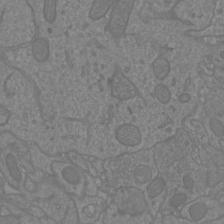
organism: Mouse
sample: Cortical neurons